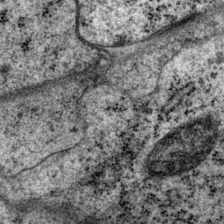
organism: P. pacificus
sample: Pharynx